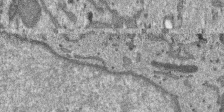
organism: Human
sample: Lung epithelial cells infected with SARS-CoV-2